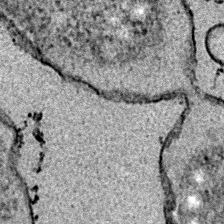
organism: E. coli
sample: E. Coli Bacteria